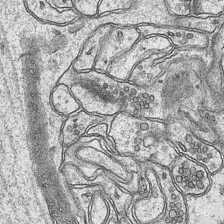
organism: Mouse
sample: CA1 Hippocampus